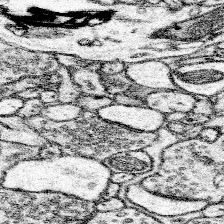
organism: Mouse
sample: Somatosensory cortex neuropil